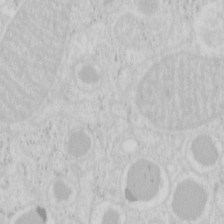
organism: Mouse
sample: Pancreas